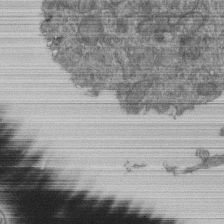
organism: Human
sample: Retinal organoid Rod and Cone cells